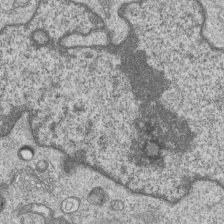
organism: Human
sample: MDA-MB-231 cells